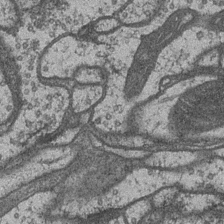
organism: Drosophila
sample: Optic medulla